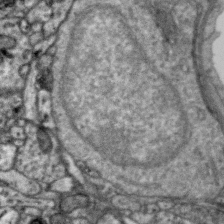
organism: Zebra finch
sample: Brain